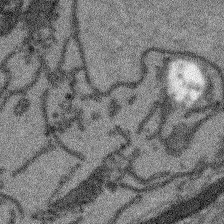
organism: Arabidopsis thaliana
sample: Root tip